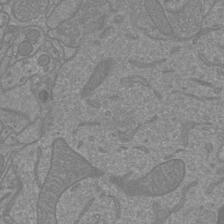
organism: Mouse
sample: Cortical neurons